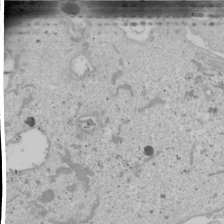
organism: Human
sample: Mitochondria in U2OS cells